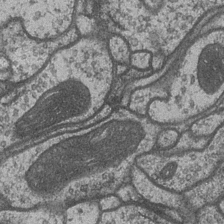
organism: Drosophila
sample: Optic medulla